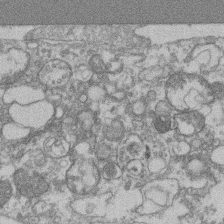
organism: Mouse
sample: T cell stromal cell synapse